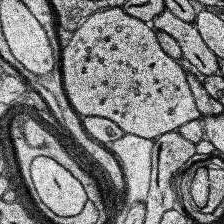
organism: Human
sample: Temporal Lobe